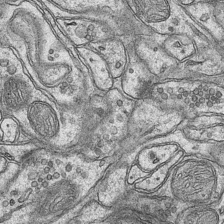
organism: Mouse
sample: CA1 Hippocampus